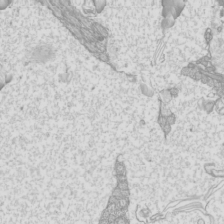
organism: Mouse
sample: Cilia; mouse epididymis